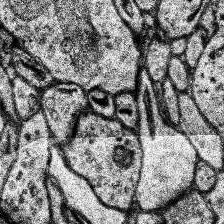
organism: Human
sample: Temporal Lobe